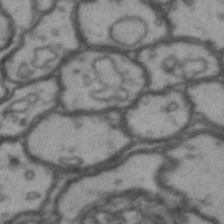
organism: Drosophila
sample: Brain